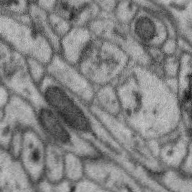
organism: Zebra finch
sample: Brain